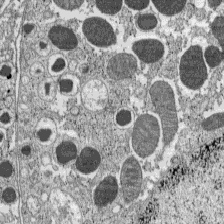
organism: C57BL Mouse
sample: Pancreatic islet